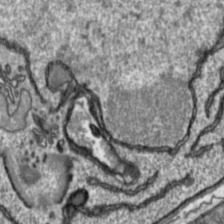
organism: Toxoplasma gondii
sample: Parasites in a vacuole inside a host cell